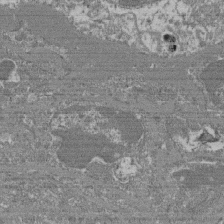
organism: Mouse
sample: Glomerulus